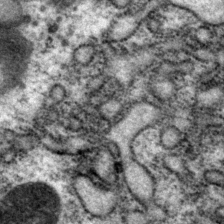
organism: P. pacificus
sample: Pharynx